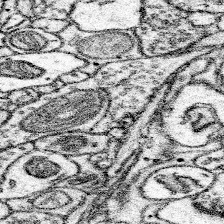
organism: Mouse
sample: Somatosensory cortex neuropil